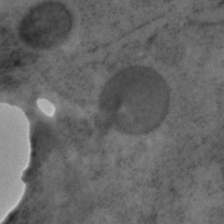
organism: C. elegans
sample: C. elegans embryo